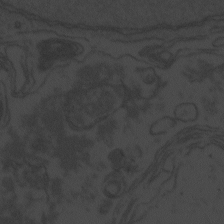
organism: Zebrafish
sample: Macrophage infected with Toxoplasma gondii